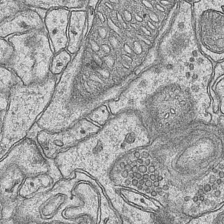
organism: Mouse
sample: CA1 Hippocampus